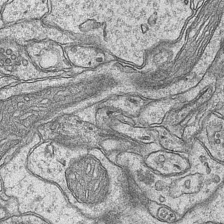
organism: Mouse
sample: CA1 Hippocampus